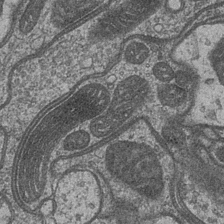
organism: Drosophila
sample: Optic medulla